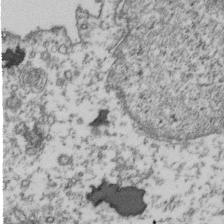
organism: Human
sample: Activated Jurkat CD4+ T cells